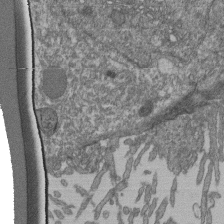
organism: Human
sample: Retinal organoid Rod and Cone cells